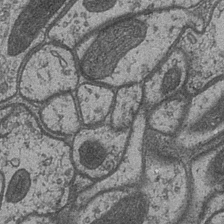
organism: Drosophila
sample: Optic medulla